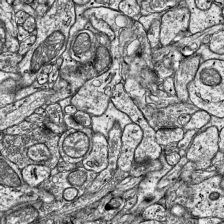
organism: Mouse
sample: Visual Cortex